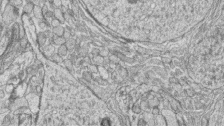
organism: Zebrafish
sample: synaptic ribbons in rod cells and cone cells